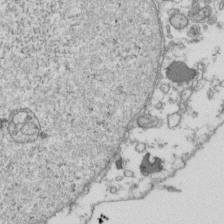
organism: Human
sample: Activated Jurkat CD4+ T cells